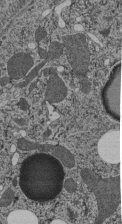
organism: C. elegans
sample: C. elegans pharynx